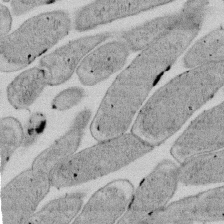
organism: E. coli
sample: Bacterial nucleoid